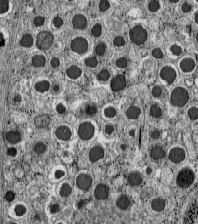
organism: C57BL Mouse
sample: Pancreatic islet